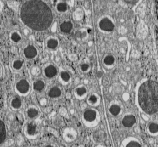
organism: C57BL Mouse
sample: Pancreatic islet